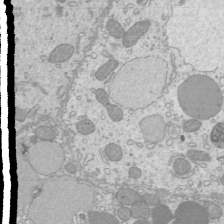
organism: Mouse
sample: Cilia; mouse epididymis